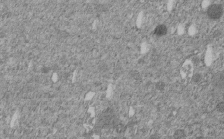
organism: C. elegans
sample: C. elegans embryo early stage